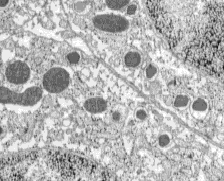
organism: C57BL Mouse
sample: Pancreatic islet